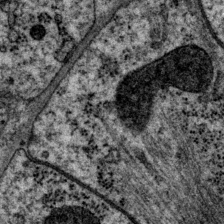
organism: P. pacificus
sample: Pharynx